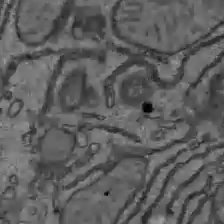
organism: C57BL Mouse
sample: Liver